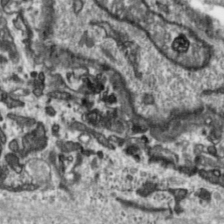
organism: Toxoplasma gondii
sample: Parasites in a vacuole inside a host cell